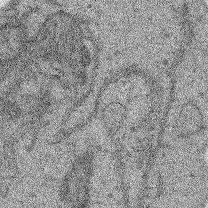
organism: Human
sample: HeLa cells